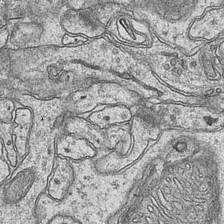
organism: Mouse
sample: CA1 Hippocampus